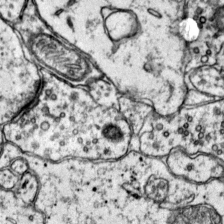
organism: Mouse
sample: Primary visual cortex